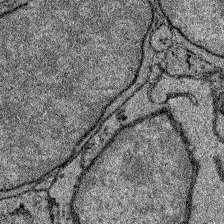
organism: Zebrafish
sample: Larval olfactory bulb